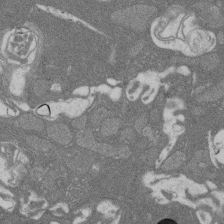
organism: Rat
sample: Salivary granule